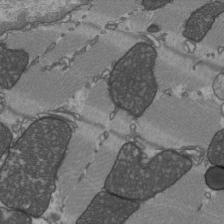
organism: C57BL Mouse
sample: Heart